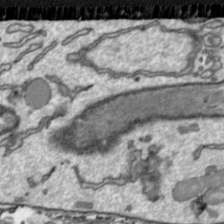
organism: Toxoplasma gondii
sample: Parasites in a vacuole inside a host cell